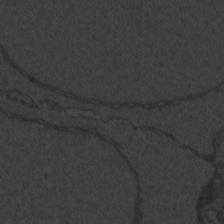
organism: Zebrafish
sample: Macrophage infected with Toxoplasma gondii